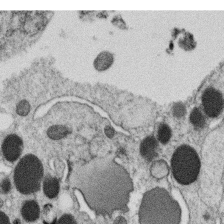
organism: C. elegans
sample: C. elegans oocyte; sperm cells